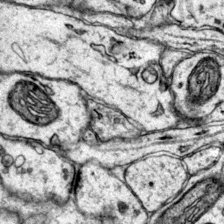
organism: Mouse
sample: Primary visual cortex